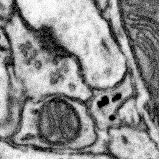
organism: Mouse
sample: Somatosensory cortex neuropil